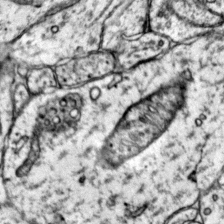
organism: Mouse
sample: Primary visual cortex